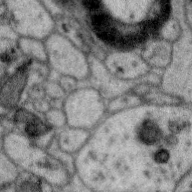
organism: Zebra finch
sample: Brain